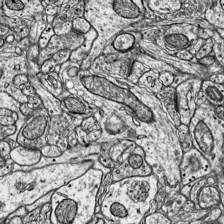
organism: Mouse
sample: Visual Cortex